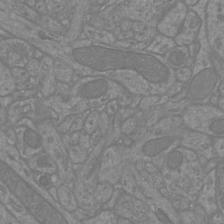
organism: Mouse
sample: Cortical neurons